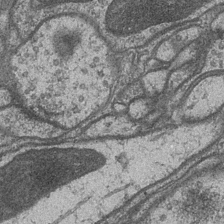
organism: Drosophila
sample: Optic medulla